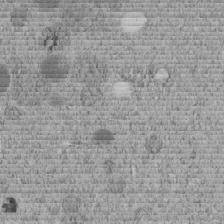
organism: C. elegans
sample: C. elegans embryo early stage